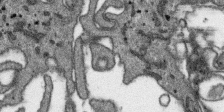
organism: Human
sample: Lung epithelial cells, uninfected (mock) control